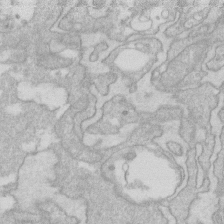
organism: Human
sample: Fibroblast cells